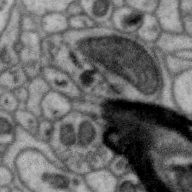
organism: Zebra finch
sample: Brain